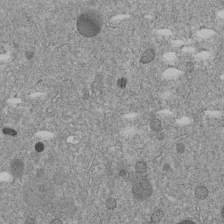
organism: C. elegans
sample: C. elegans embryo early stage